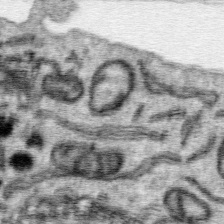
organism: Human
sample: HeLa cells